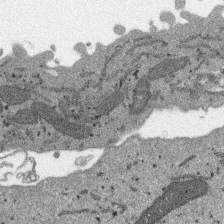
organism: Human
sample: Lung epithelial cells infected with SARS-CoV-2